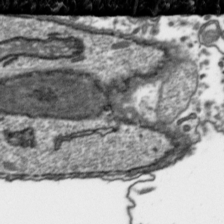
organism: Toxoplasma gondii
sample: Parasites in a vacuole inside a host cell